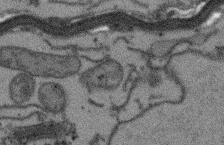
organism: Arabidopsis thaliana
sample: Root tip